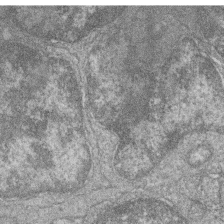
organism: Zebrafish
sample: Cilia; retinal pigment epithelium